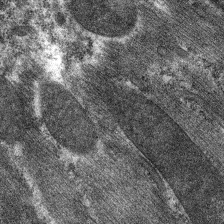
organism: C. elegans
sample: Pharynx